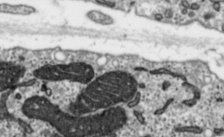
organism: Toxoplasma gondii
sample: Parasites in a vacuole inside a host cell